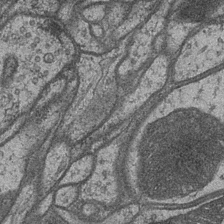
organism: Drosophila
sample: Optic medulla